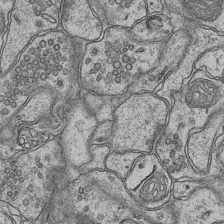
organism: Mouse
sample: CA1 Hippocampus